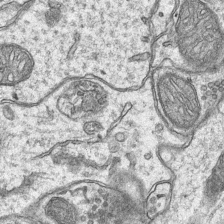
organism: Mouse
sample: CA1 Hippocampus